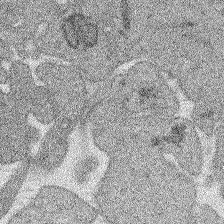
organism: Human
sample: HeLa cells